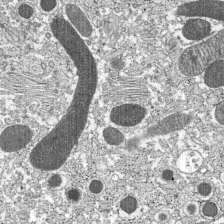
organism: C57BL Mouse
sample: Pancreatic islet